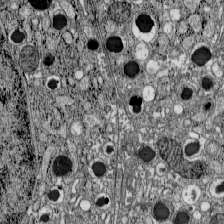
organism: C57BL Mouse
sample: Pancreatic islet